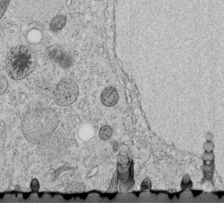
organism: C. elegans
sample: C. elegans embryo early stage